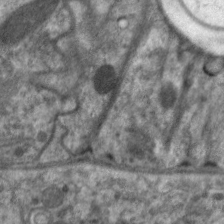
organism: C. elegans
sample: Pharynx